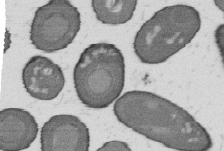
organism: B. subtilis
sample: Bacterial spore